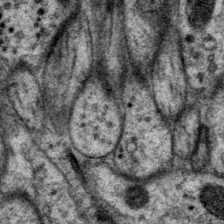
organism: P. pacificus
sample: Pharynx